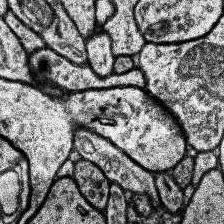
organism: Human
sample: Temporal Lobe